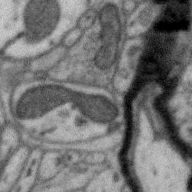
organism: Zebra finch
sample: Brain